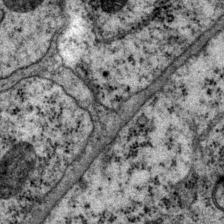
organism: P. pacificus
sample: Pharynx